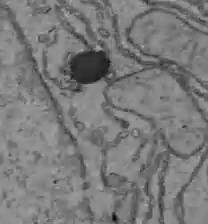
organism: C57BL Mouse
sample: Liver